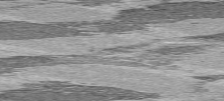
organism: C57BL Mouse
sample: Heart